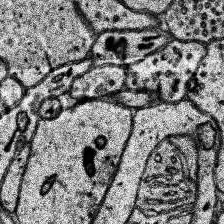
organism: Human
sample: Temporal Lobe